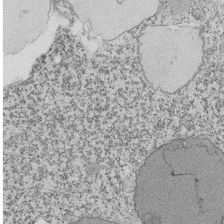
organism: Tetrahymena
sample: Cilia in tetrahymena